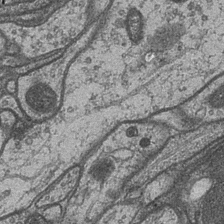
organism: Drosophila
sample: Optic medulla